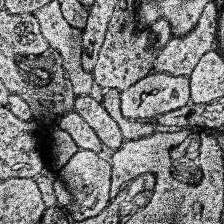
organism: Human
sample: Temporal Lobe